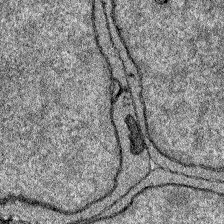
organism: Zebrafish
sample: Larval olfactory bulb